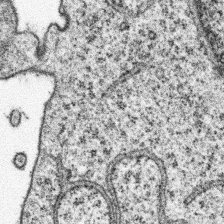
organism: Human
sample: HeLa cells